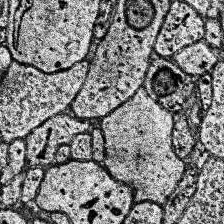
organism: Human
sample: Temporal Lobe